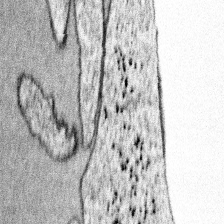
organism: Human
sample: HeLa cells